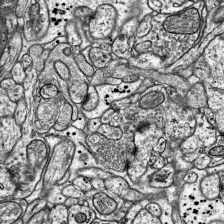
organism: Mouse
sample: Visual Cortex